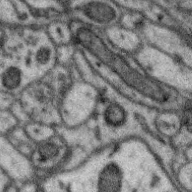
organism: Zebra finch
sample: Brain